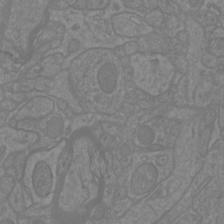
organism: Mouse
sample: Cortical neurons